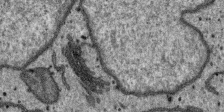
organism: Human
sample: Lung epithelial cells, uninfected (mock) control